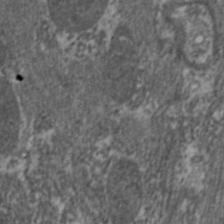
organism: C. elegans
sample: Pharynx